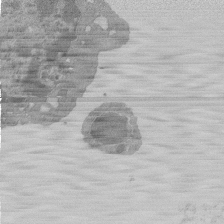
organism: Mouse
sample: Activated Pmel transgenic CD8+ T Cells